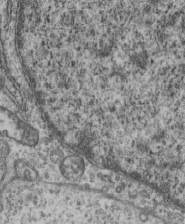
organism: Mouse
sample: Centriole in ependymal cells